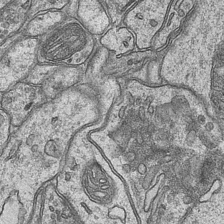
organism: Mouse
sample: CA1 Hippocampus